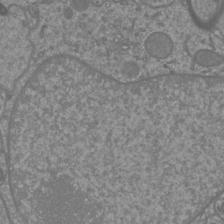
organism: Mouse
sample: Cortical neurons